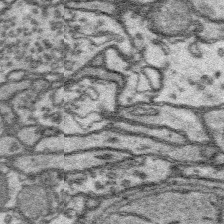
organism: Platynereis dumerilii